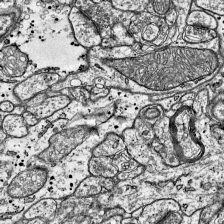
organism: Mouse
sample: Visual Cortex